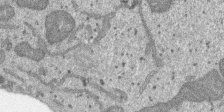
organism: Human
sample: Lung epithelial cells infected with SARS-CoV-2